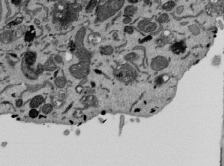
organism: Mouse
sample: ED-1 cell nuclei; centrioles